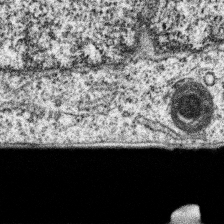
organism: Human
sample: HeLa cells